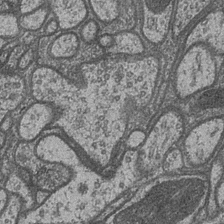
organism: Drosophila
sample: Optic medulla